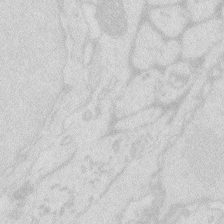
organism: Zebrafish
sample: Macrophage